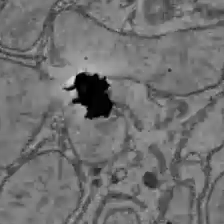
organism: C57BL Mouse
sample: Liver